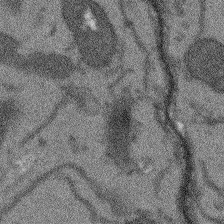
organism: Arabidopsis thaliana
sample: Root tip